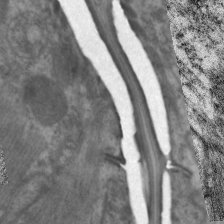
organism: C. elegans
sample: Pharynx